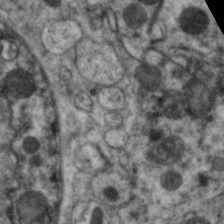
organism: C. elegans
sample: Pharynx